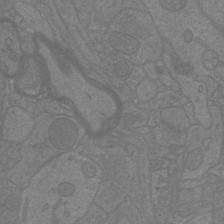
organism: Mouse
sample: Cortical neurons